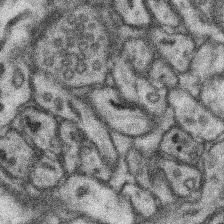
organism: Mouse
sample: Somatosensory cortex neuropil